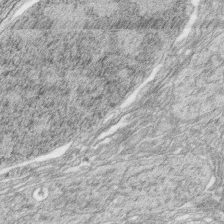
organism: Zebrafish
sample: synaptic ribbons in rod cells and cone cells